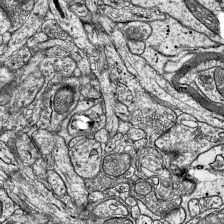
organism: Mouse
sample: Visual Cortex